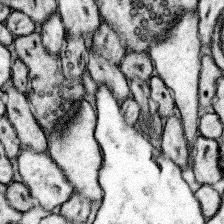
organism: Mouse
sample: Somatosensory cortex neuropil